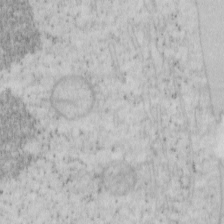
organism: Human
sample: HeLa cells